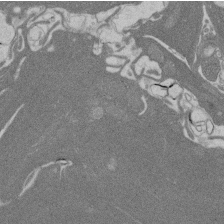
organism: Rat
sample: Salivary granule